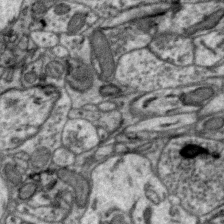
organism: Zebra finch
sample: Brain